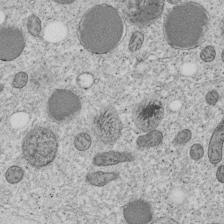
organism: C. elegans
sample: C. elegans embryo early stage